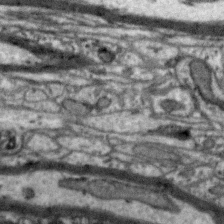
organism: Zebra finch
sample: Brain